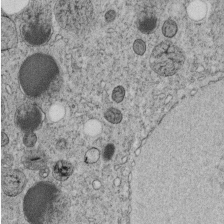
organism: C. elegans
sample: C. elegans embryo early stage